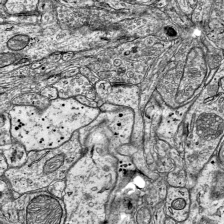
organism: Mouse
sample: Visual Cortex